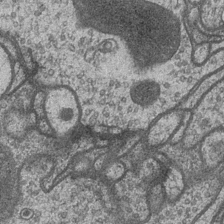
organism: Drosophila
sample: Optic medulla